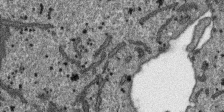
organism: Human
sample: Lung epithelial cells infected with SARS-CoV-2